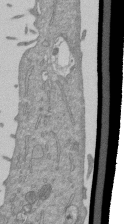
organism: Mouse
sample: ED-1 cell nuclei; centrioles